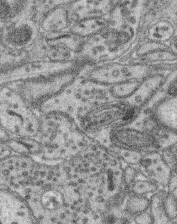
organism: Mouse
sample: Retina